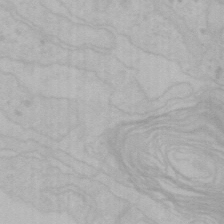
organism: Mouse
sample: Choroid plexus